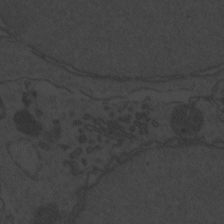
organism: Zebrafish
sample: Macrophage infected with Toxoplasma gondii